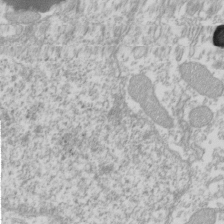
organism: Xenopus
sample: Cilia; centrioles in frog embryo cells